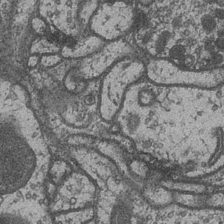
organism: Drosophila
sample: Optic medulla